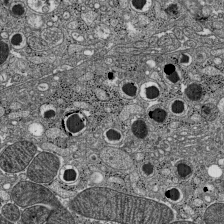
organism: C57BL Mouse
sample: Pancreatic islet